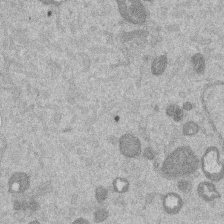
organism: Mouse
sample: Dividing mouse embryo 1 cell stage